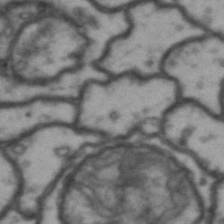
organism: Drosophila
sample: Brain